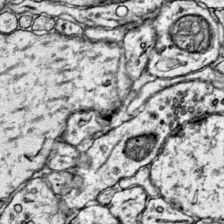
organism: Mouse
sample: Primary visual cortex